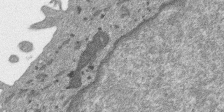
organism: Human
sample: Lung epithelial cells infected with SARS-CoV-2